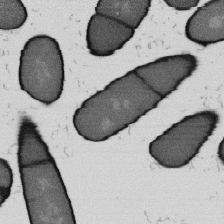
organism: B. subtilis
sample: Bacterial spore